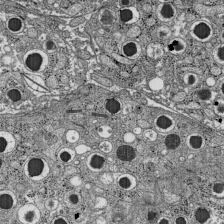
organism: C57BL Mouse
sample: Pancreatic islet